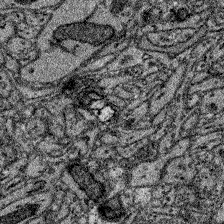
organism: Zebrafish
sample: Larval olfactory bulb